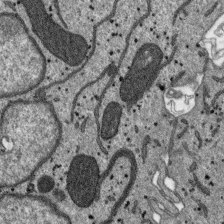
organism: Human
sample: Lung epithelial cells, uninfected (mock) control